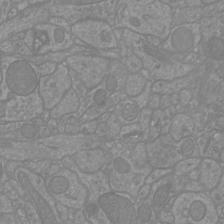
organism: Mouse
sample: Cortical neurons